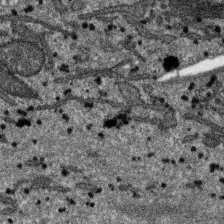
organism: Human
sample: Lung epithelial cells infected with SARS-CoV-2